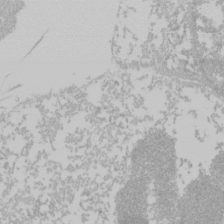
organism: Mouse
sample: Cancer cell death in ED-1 cells